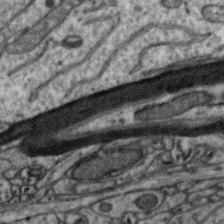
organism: Zebra finch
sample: Brain